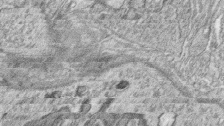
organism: Zebrafish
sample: synaptic ribbons in rod cells and cone cells